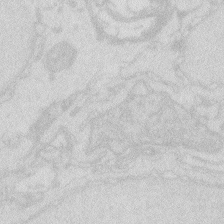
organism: Zebrafish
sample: Macrophage